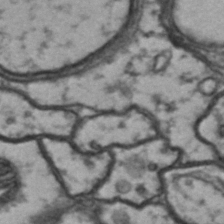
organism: Drosophila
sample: Brain